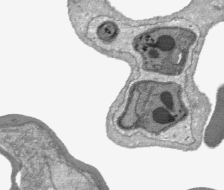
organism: Plasmodium falciparum